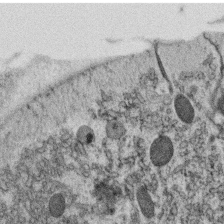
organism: C. elegans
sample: C. elegans oocyte; sperm cells